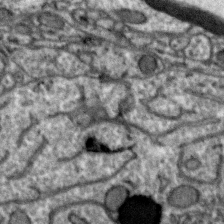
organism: Zebra finch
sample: Brain